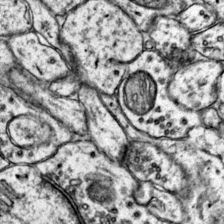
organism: Mouse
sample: Primary visual cortex